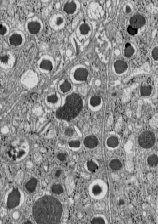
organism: C57BL Mouse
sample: Pancreatic islet